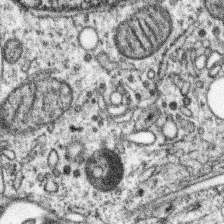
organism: Human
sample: HeLa cells